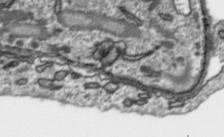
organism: Toxoplasma gondii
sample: Parasites in a vacuole inside a host cell